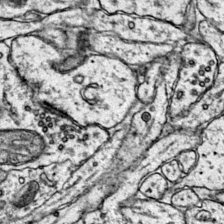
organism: Mouse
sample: Primary visual cortex